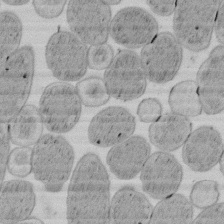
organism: E. coli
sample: Bacterial nucleoid